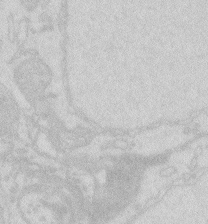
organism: Zebrafish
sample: Macrophage